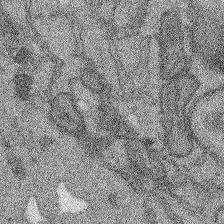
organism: Human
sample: HeLa cells